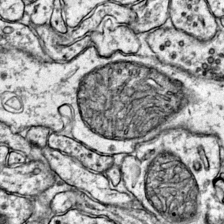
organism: Mouse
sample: Primary visual cortex